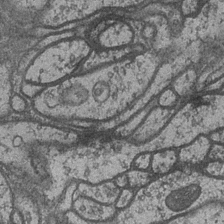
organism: Drosophila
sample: Optic medulla